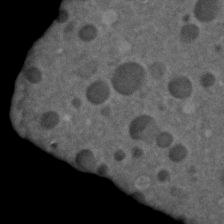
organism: C. elegans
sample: C. elegans embryo